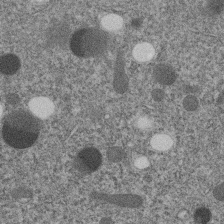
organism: C. elegans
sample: C. elegans embryo early stage